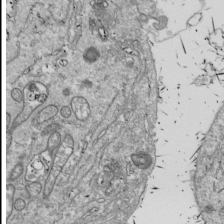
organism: Drosophila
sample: Cell division; meiosis; drosophila spermatocytes